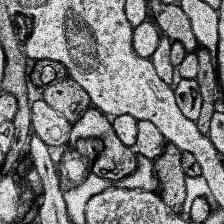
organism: Human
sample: Temporal Lobe